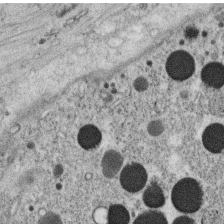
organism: C. elegans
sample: C. elegans oocyte; sperm cells